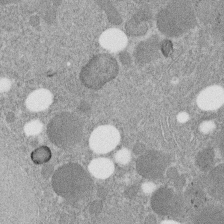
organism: C. elegans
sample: C. elegans embryo early stage